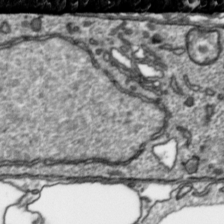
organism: Toxoplasma gondii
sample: Parasites in a vacuole inside a host cell